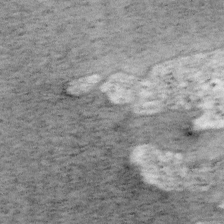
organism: Mouse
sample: OT-I killer T cells with ID8 ovarian cancer cells